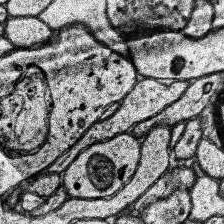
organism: Human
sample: Temporal Lobe